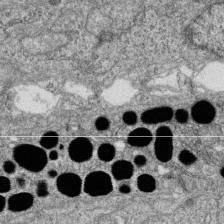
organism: Zebrafish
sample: Cilia; retinal pigment epithelium